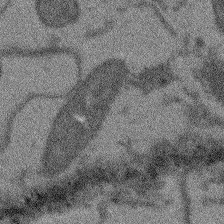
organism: Arabidopsis thaliana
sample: Root tip